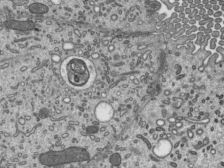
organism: Mouse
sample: Mouse epididymis efferent ductule cilia